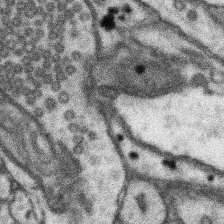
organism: Mouse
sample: Somatosensory cortex neuropil